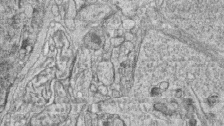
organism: Zebrafish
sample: synaptic ribbons in rod cells and cone cells